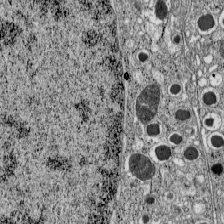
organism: C57BL Mouse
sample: Pancreatic islet